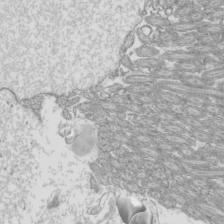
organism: Mouse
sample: Cilia; mouse epididymis